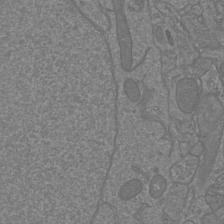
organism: Mouse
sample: Cortical neurons